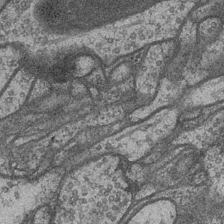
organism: Drosophila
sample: Optic medulla